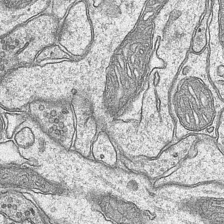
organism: Mouse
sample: CA1 Hippocampus